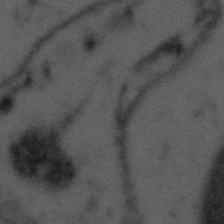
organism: Tuwongella immobilis